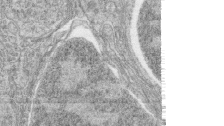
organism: Zebrafish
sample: synaptic ribbons in rod cells and cone cells